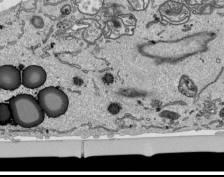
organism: Human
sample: Mitochondria in HCT116 cells